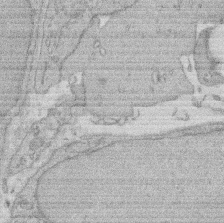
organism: Rat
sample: Salivary granule